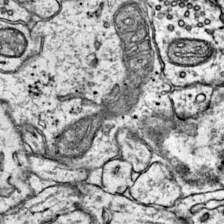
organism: Mouse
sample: Primary visual cortex